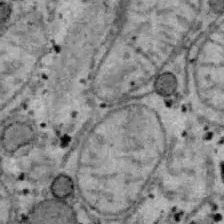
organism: Mouse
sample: Liver from an obese (ob/ob) mouse